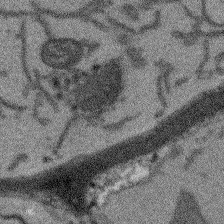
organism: Arabidopsis thaliana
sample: Root tip